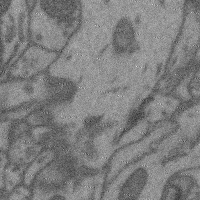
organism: Mouse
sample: Cerebral cortex